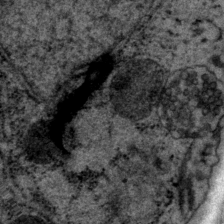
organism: P. pacificus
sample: Pharynx